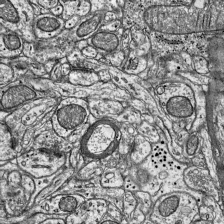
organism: Mouse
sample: Visual Cortex